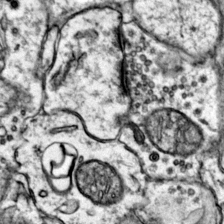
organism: Mouse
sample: Primary visual cortex